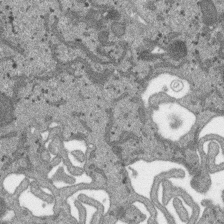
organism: Human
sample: Lung epithelial cells infected with SARS-CoV-2